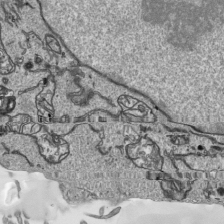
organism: Human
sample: Mitochondria in HCT116 cells